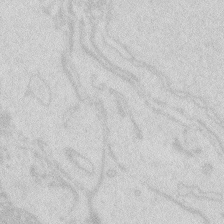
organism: Zebrafish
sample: Macrophage